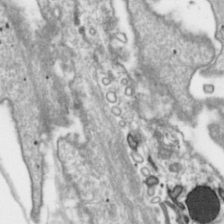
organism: Toxoplasma gondii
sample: Parasites in a vacuole inside a host cell